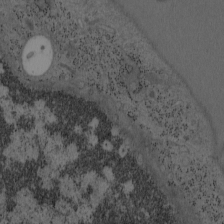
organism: Mouse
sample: OT-I killer T cells with ID8 ovarian cancer cells